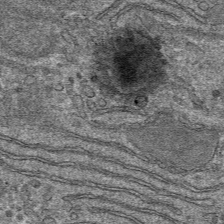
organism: Mouse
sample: Mouse hepatocytes